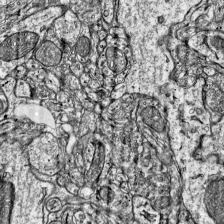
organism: Mouse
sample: Visual Cortex